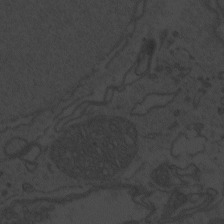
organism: Zebrafish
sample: Macrophage infected with Toxoplasma gondii